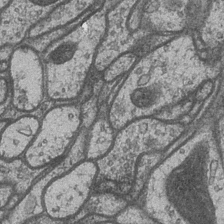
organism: Drosophila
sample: Optic medulla